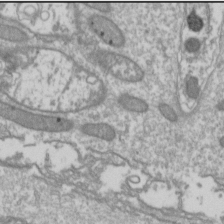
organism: Drosophila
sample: Cell division; meiosis; drosophila spermatocytes